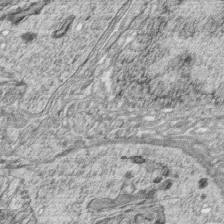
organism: Zebrafish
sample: synaptic ribbons in rod cells and cone cells